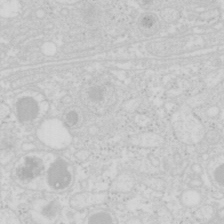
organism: Mouse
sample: Pancreas